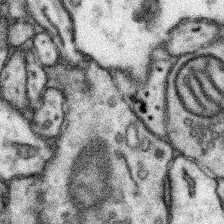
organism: Mouse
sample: Somatosensory cortex neuropil